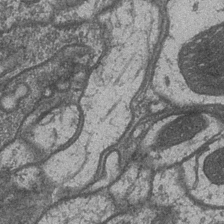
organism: Drosophila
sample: Optic medulla